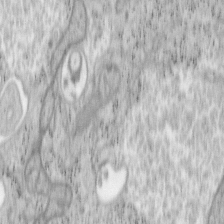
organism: Human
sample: HeLa cells